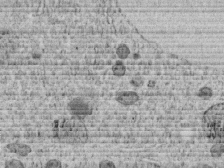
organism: C. elegans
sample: C. elegans embryo early stage